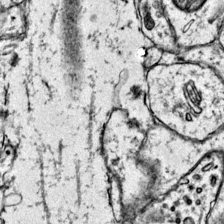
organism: Mouse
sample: Primary visual cortex